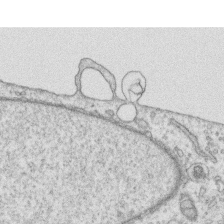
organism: Human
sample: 1205lu cells